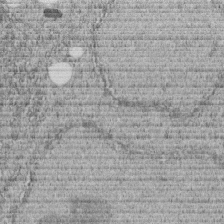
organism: C. elegans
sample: C. elegans embryo early stage